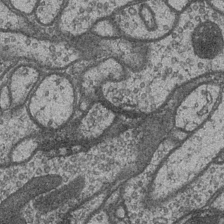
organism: Drosophila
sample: Optic medulla